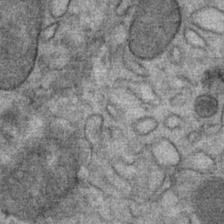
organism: Mouse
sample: Mouse Salivary gland